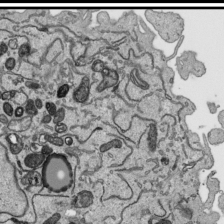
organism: Human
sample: Mitochondria in HCT116 cells